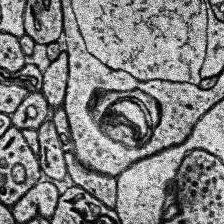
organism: Human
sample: Temporal Lobe